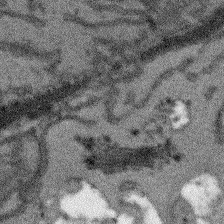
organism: Arabidopsis thaliana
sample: Root tip